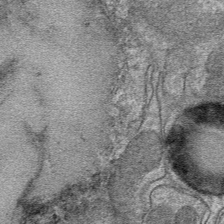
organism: Mouse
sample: Mouse hepatocytes